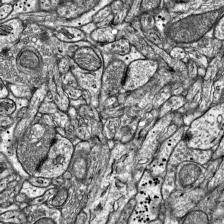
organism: Mouse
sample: Visual Cortex